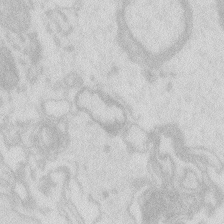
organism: Zebrafish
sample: Macrophage